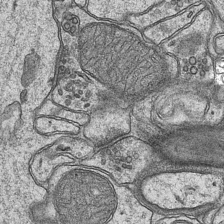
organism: Mouse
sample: CA1 Hippocampus